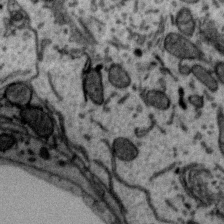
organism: Zebra finch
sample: Brain